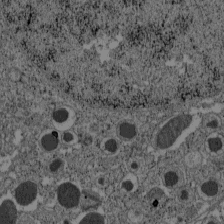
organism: C57BL Mouse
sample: Pancreatic islet